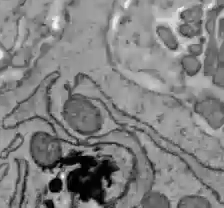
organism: C57BL Mouse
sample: Liver